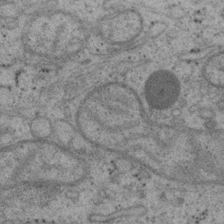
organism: Human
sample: HeLa cells